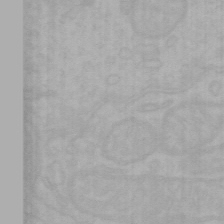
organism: Mouse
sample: Choroid plexus